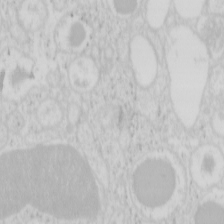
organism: Mouse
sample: Pancreas